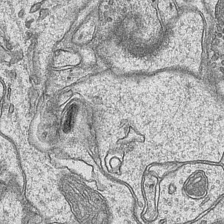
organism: Mouse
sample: CA1 Hippocampus